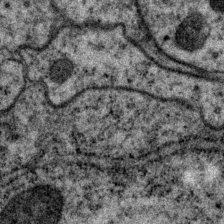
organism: P. pacificus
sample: Pharynx